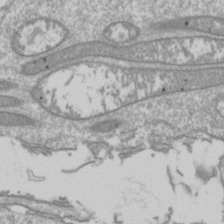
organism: Drosophila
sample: Cell division; meiosis; drosophila spermatocytes